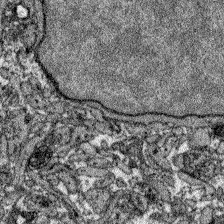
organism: Zebrafish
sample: Larval olfactory bulb